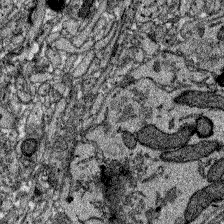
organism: Zebrafish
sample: Larval olfactory bulb